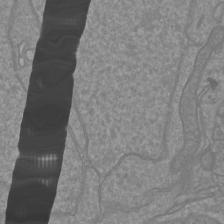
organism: Mouse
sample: Cortical neurons